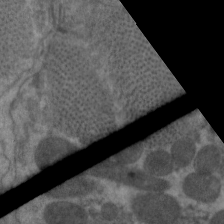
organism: C. elegans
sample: Pharynx